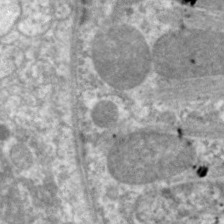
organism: C. elegans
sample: Pharynx